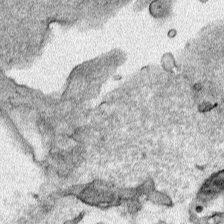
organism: Human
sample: Mitochondria in HCT116 cells